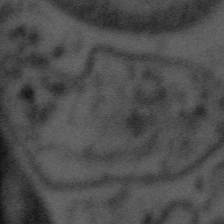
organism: Tuwongella immobilis